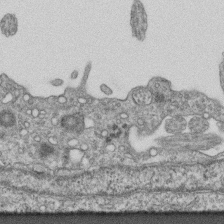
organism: Mouse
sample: Centriole in ependymal cells